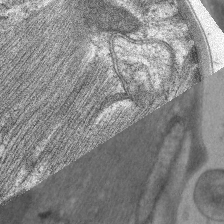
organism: C. elegans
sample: Pharynx